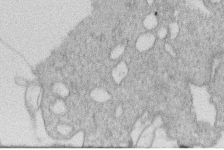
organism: Human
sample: Macrophage cells